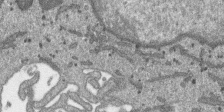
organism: Human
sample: Lung epithelial cells infected with SARS-CoV-2